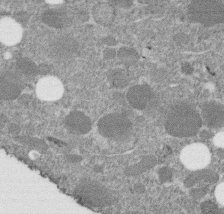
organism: C. elegans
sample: C. elegans embryo early stage